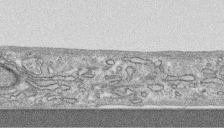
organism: Human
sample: CRL-1474